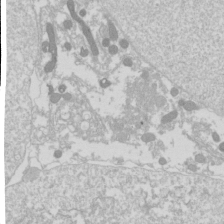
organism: Drosophila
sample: Cell division; meiosis; drosophila spermatocytes